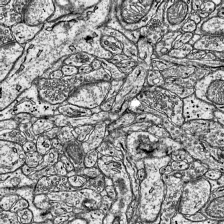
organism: Mouse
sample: Visual Cortex